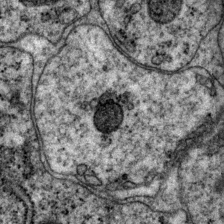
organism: P. pacificus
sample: Pharynx